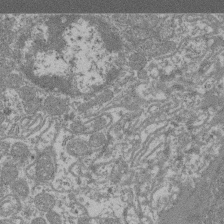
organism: Mouse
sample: Glomerulus